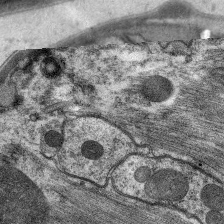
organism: C. elegans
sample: Pharynx